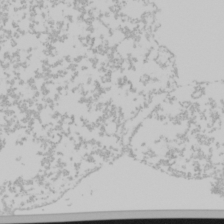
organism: Mouse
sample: Cancer cell death in ED-1 cells